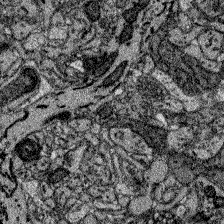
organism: Zebrafish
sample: Larval olfactory bulb